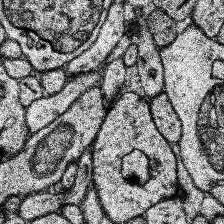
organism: Human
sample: Temporal Lobe